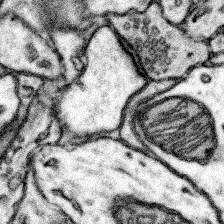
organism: Mouse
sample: Somatosensory cortex neuropil